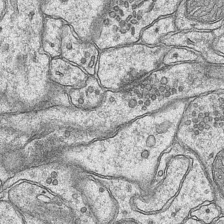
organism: Mouse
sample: CA1 Hippocampus